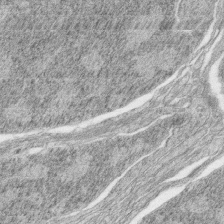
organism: Zebrafish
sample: synaptic ribbons in rod cells and cone cells